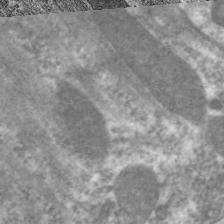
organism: C. elegans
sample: Pharynx